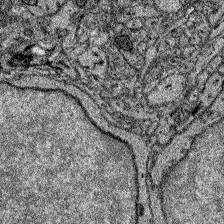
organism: Zebrafish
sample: Larval olfactory bulb